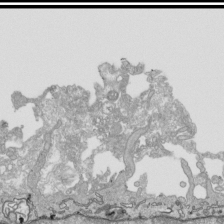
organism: Human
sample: Mitochondria in HCT116 cells